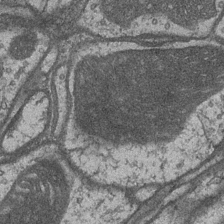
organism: Drosophila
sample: Optic medulla